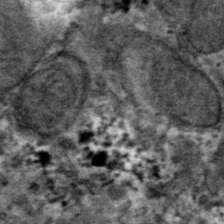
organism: Mouse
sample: Mouse hepatocytes